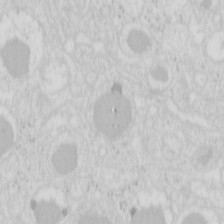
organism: Mouse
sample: Pancreas